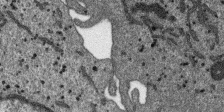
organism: Human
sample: Lung epithelial cells infected with SARS-CoV-2